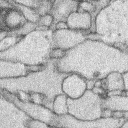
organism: Rabbit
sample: Retina